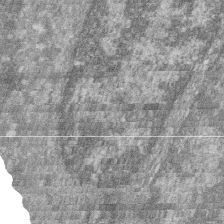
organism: Zebrafish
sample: Cilia; retinal pigment epithelium